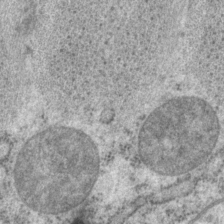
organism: P. pacificus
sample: Pharynx